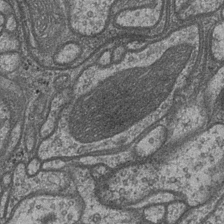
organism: Drosophila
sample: Optic medulla